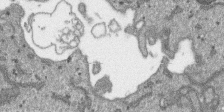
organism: Human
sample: Lung epithelial cells infected with SARS-CoV-2